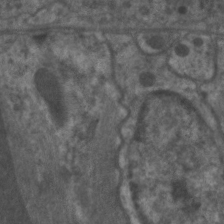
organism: C. elegans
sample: Pharynx